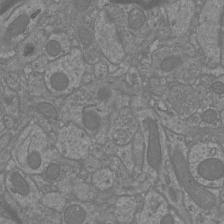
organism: Mouse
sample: Cortical neurons